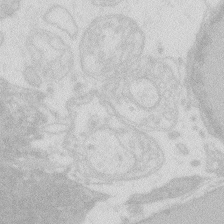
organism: Zebrafish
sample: Macrophage